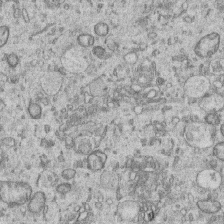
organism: Human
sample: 1205lu cells